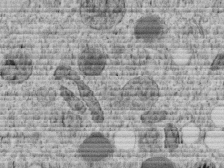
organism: C. elegans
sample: C. elegans embryo early stage